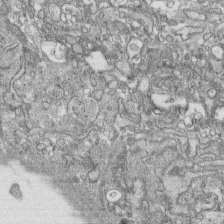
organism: Human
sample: CRL-1474